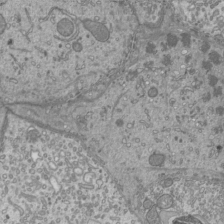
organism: Mouse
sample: Cilia; mouse epididymis